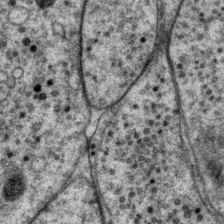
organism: P. pacificus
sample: Pharynx